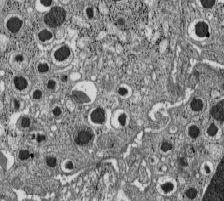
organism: C57BL Mouse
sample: Pancreatic islet